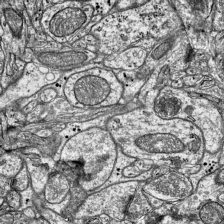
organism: Mouse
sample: Visual Cortex